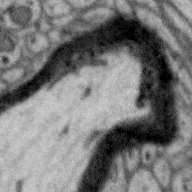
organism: Zebra finch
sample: Brain